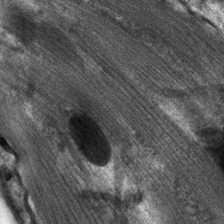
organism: C. elegans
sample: Pharynx